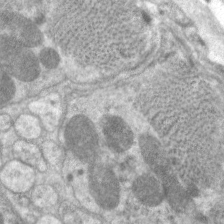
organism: C. elegans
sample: Pharynx